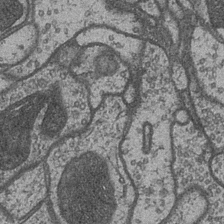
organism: Drosophila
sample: Optic medulla